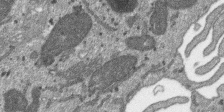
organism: Human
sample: Lung epithelial cells infected with SARS-CoV-2